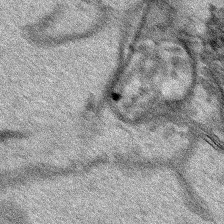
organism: Human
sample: Mitochondria in HCT116 cells